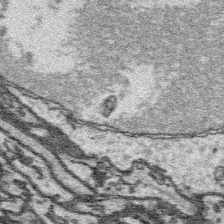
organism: Platynereis dumerilii